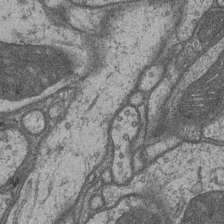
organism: Drosophila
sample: Optic medulla